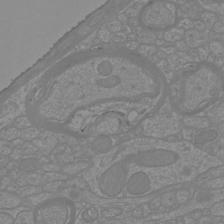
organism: Mouse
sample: Cortical neurons